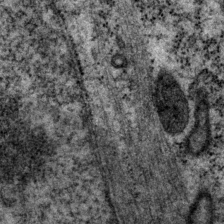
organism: P. pacificus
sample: Pharynx